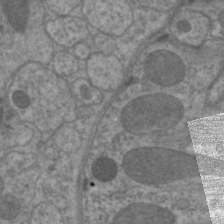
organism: C. elegans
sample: Pharynx